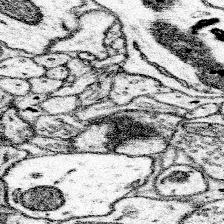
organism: Mouse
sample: Somatosensory cortex neuropil